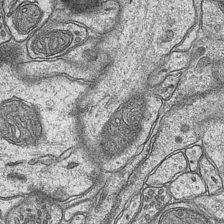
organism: Mouse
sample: CA1 Hippocampus